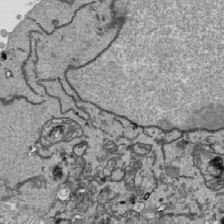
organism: Human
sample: Mitochondria in HCT116 cells